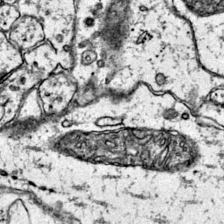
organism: Mouse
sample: Primary visual cortex